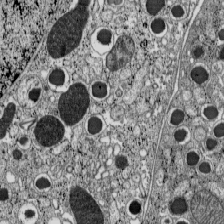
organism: C57BL Mouse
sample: Pancreatic islet